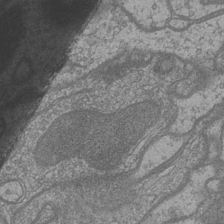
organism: Drosophila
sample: Optic medulla